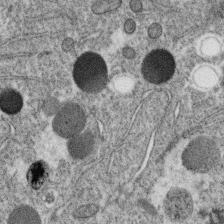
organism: C. elegans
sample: C. elegans oocyte; sperm cells